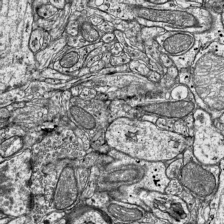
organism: Mouse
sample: Visual Cortex